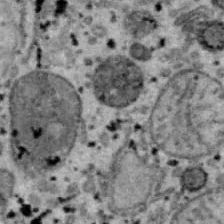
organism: Mouse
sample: Liver from an obese (ob/ob) mouse